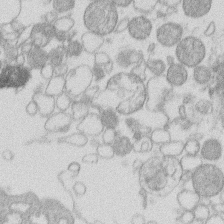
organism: Human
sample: Macrophage cells